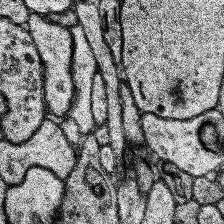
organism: Human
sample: Temporal Lobe